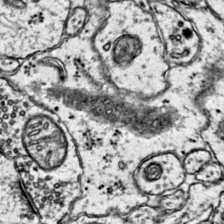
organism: Mouse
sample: Primary visual cortex